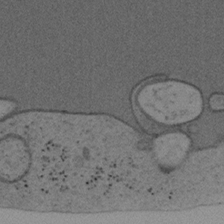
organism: Human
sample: HeLa cells